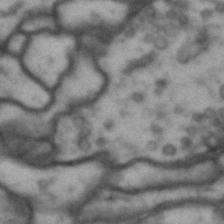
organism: Drosophila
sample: Brain